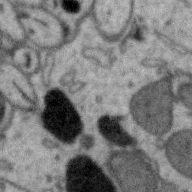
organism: Zebra finch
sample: Brain